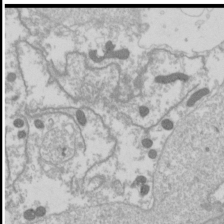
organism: Drosophila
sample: Cell division; meiosis; drosophila spermatocytes